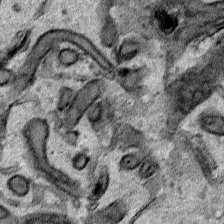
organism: Human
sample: Mitochondria in HCT116 cells